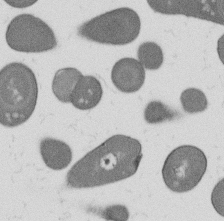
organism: B. subtilis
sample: Bacterial spore